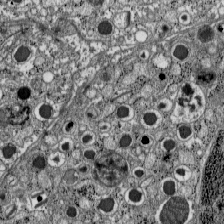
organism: C57BL Mouse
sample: Pancreatic islet